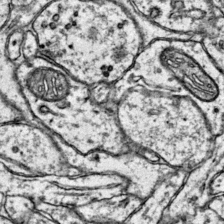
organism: Mouse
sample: Primary visual cortex